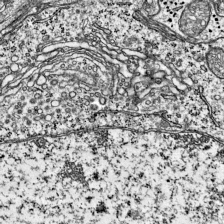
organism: Mouse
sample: Visual Cortex